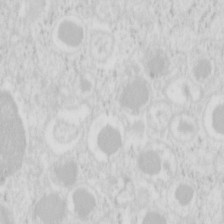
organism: Mouse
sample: Pancreas